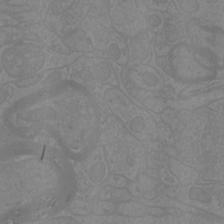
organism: Mouse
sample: Cortical neurons